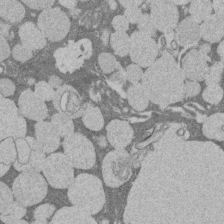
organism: Rat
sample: Salivary granule